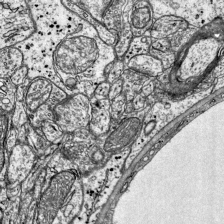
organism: Mouse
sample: Visual Cortex